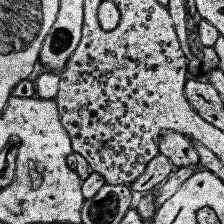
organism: Human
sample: Temporal Lobe